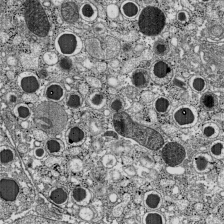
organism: C57BL Mouse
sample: Pancreatic islet